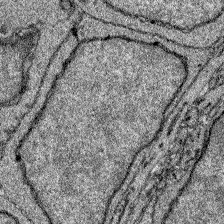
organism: Zebrafish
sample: Larval olfactory bulb